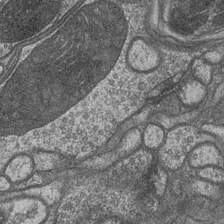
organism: Drosophila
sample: Optic medulla